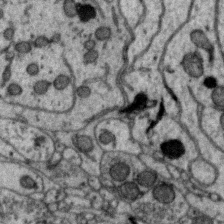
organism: Zebra finch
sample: Brain